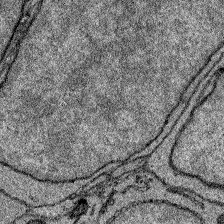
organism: Zebrafish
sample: Larval olfactory bulb